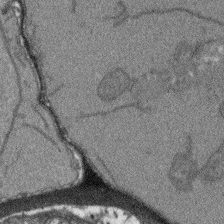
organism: Arabidopsis thaliana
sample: Root tip